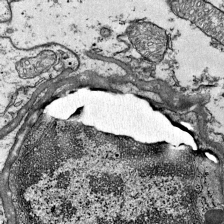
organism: Mouse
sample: Visual Cortex